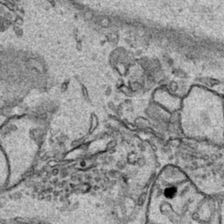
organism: Human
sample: Mitochondria in HCT116 cells